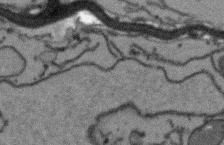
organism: Arabidopsis thaliana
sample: Root tip